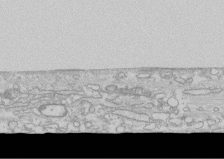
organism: Human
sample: CRL-1474